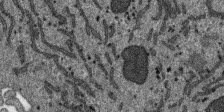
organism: Human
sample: Lung epithelial cells infected with SARS-CoV-2